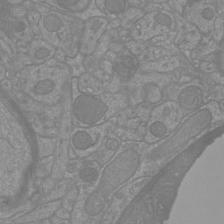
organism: Mouse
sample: Cortical neurons